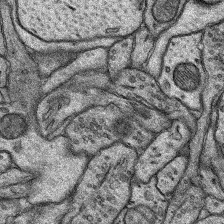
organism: Rat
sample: Hippocampus